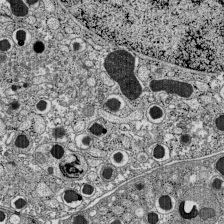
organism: C57BL Mouse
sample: Pancreatic islet